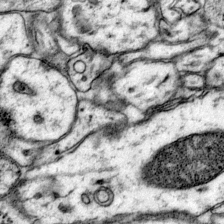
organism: Mouse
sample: Primary visual cortex